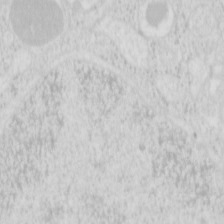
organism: Mouse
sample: Pancreas